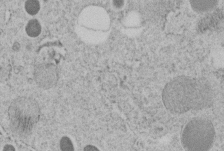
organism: C. elegans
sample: C. elegans embryo early stage